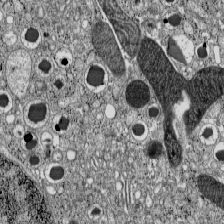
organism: C57BL Mouse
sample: Pancreatic islet